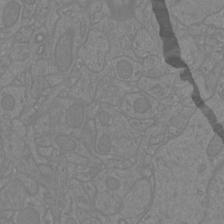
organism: Mouse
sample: Cortical neurons